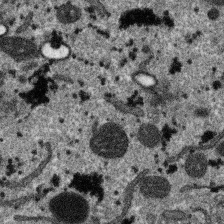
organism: Human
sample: Lung epithelial cells infected with SARS-CoV-2